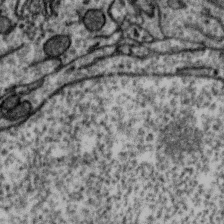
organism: Zebra finch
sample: Brain